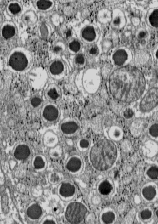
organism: C57BL Mouse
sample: Pancreatic islet